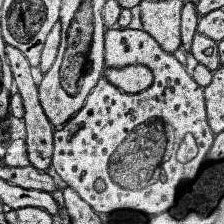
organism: Human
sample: Temporal Lobe